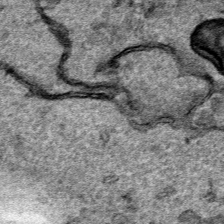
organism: Human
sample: Mitochondria in HCT116 cells